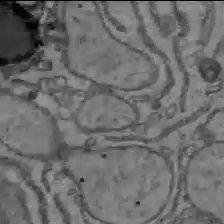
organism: C57BL Mouse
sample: Liver